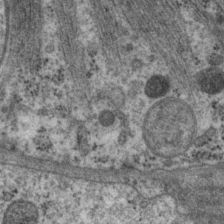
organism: P. pacificus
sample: Pharynx